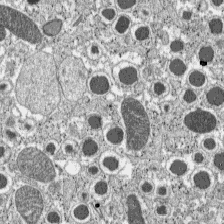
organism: C57BL Mouse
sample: Pancreatic islet